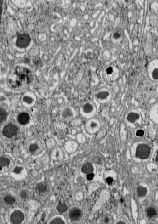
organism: C57BL Mouse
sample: Pancreatic islet